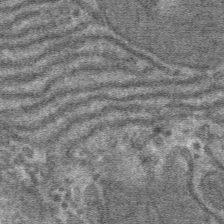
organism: Mouse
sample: Mouse hepatocytes